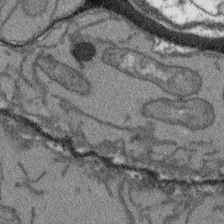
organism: Arabidopsis thaliana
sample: Root tip